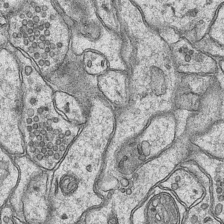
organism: Mouse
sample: CA1 Hippocampus